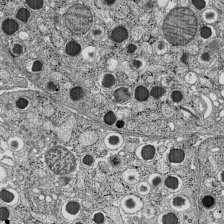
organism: C57BL Mouse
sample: Pancreatic islet